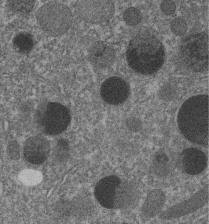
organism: C. elegans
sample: C. elegans embryo early stage